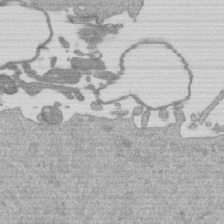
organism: Mouse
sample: Dividing mouse embryo 1 cell stage